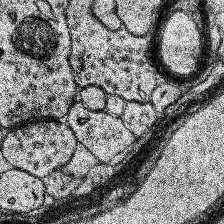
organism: Human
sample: Temporal Lobe